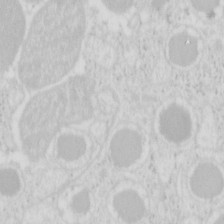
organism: Mouse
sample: Pancreas